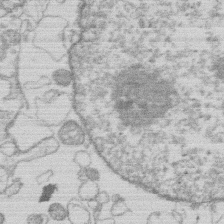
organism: Human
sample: Macrophage cells